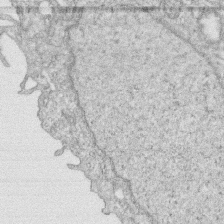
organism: Human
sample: HeLa cell HIV synapse